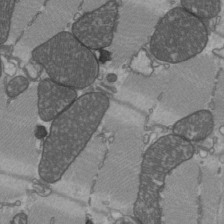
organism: C57BL Mouse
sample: Heart